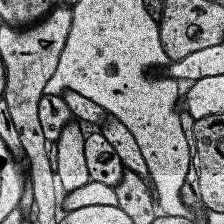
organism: Human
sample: Temporal Lobe